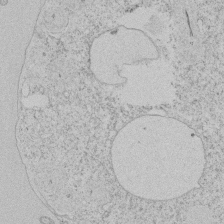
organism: Tetrahymena